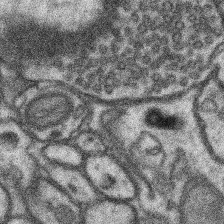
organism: Mouse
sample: Somatosensory cortex neuropil